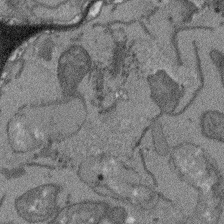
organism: Arabidopsis thaliana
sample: Root tip